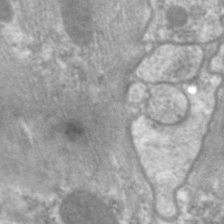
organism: C. elegans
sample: Pharynx